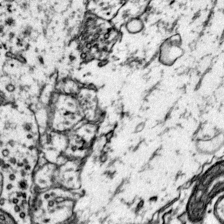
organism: Mouse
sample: Primary visual cortex